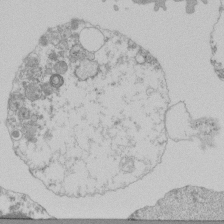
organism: Mouse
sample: Activated Pmel transgenic CD8+ T Cells